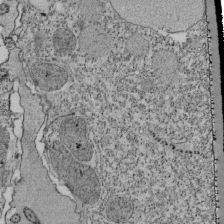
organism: Tetrahymena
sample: Cilia in tetrahymena